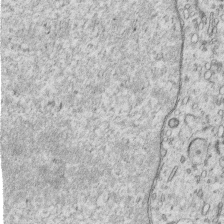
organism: Human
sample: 1205lu cells